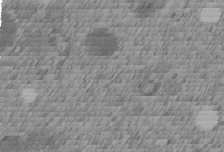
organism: C. elegans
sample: C. elegans embryo early stage